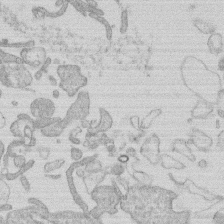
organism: Human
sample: Macrophage cells